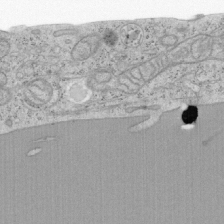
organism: Human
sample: HeLa cells